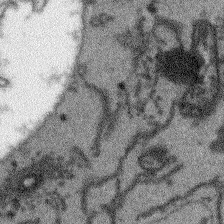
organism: Arabidopsis thaliana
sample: Root tip